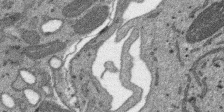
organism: Human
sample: Lung epithelial cells infected with SARS-CoV-2